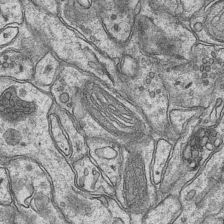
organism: Mouse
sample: CA1 Hippocampus